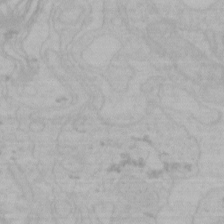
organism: Mouse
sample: Choroid plexus